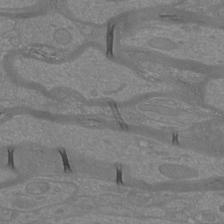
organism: Mouse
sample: Cortical neurons